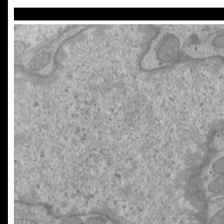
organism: Mouse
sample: Cilia; mouse epididymis